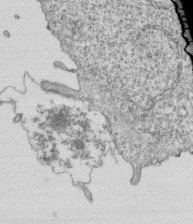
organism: Human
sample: HeLa cell HIV synapse